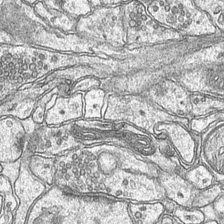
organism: Mouse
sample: CA1 Hippocampus